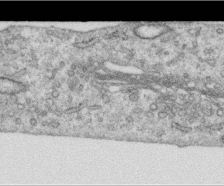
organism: Human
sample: Centriole in RPE cells